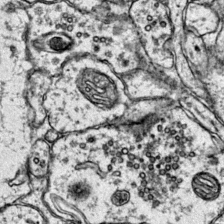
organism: Mouse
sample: Primary visual cortex